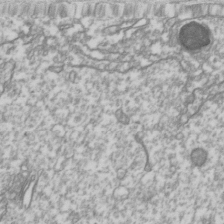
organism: Drosophila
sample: Cell division; meiosis; drosophila spermatocytes